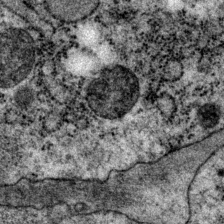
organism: P. pacificus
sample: Pharynx